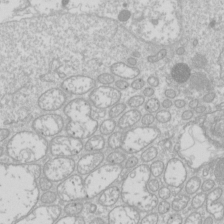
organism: Drosophila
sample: Cell division; meiosis; drosophila spermatocytes